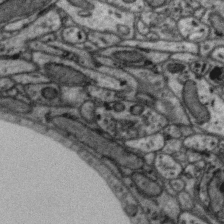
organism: Zebra finch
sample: Brain